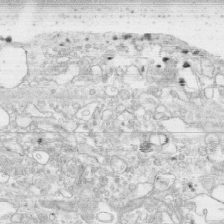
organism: Human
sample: CRL-1474